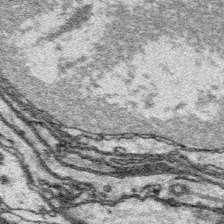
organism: Platynereis dumerilii